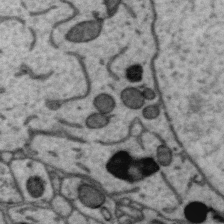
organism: Zebra finch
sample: Brain